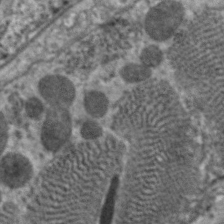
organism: C. elegans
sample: Pharynx